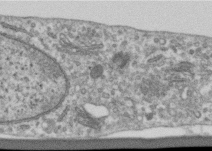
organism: Human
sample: Centriole in RPE cells